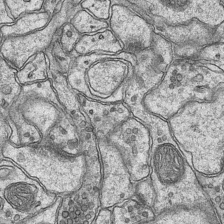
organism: Mouse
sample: CA1 Hippocampus